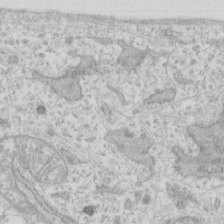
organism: Human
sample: Fibroblast cells